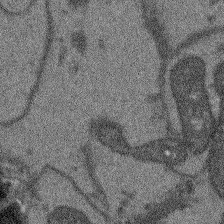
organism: Arabidopsis thaliana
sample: Root tip